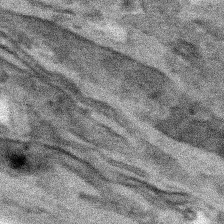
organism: Human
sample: Mitochondria in HCT116 cells